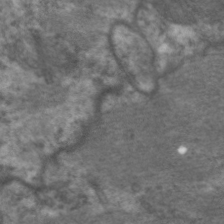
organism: C. elegans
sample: Pharynx